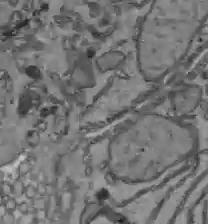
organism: C57BL Mouse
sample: Liver